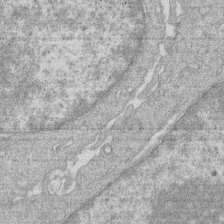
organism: Human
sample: Macrophage cells